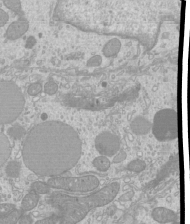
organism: Mouse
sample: Cilia; mouse epididymis